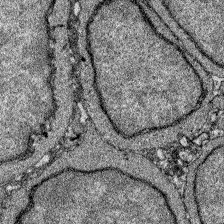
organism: Zebrafish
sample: Larval olfactory bulb